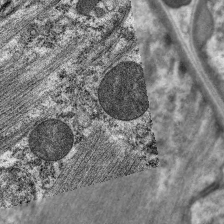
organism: C. elegans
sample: Pharynx